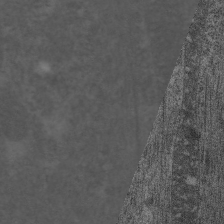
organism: C. elegans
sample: Pharynx